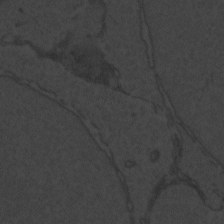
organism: Zebrafish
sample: Macrophage infected with Toxoplasma gondii